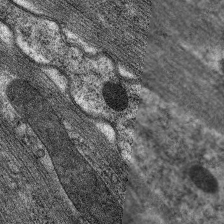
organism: C. elegans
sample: Pharynx